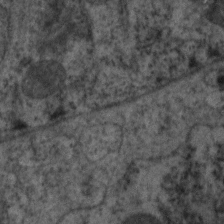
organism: C. elegans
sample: Pharynx